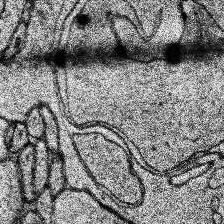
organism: Human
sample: Temporal Lobe